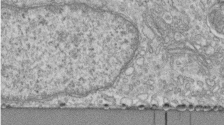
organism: Human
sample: Centriole in fibroblast cells